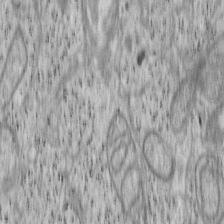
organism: Human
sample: HeLa cells